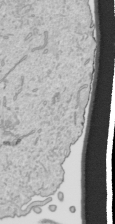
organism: Human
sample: Mitochondria in HCT116 cells